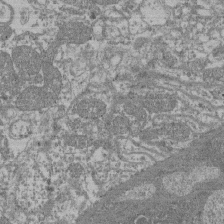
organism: Mouse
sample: Glomerulus